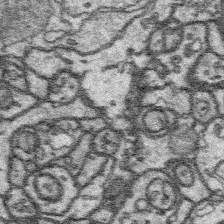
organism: Platynereis dumerilii